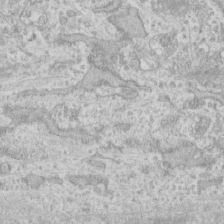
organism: Human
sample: Fibroblast cells